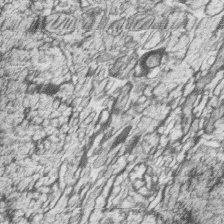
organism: Zebrafish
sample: synaptic ribbons in rod cells and cone cells